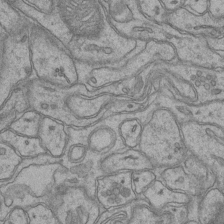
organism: Mouse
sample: CA1 Hippocampus